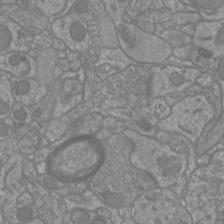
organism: Mouse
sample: Cortical neurons